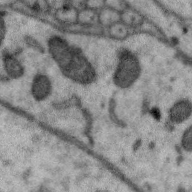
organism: Zebra finch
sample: Brain